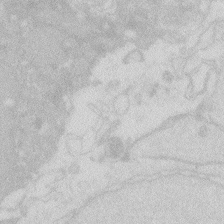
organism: Zebrafish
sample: Macrophage